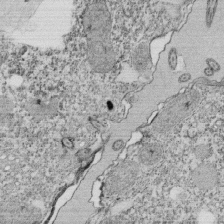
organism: Tetrahymena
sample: Cilia in tetrahymena